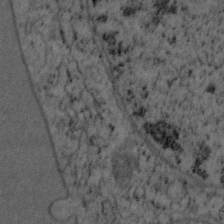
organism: Human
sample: HeLa cells